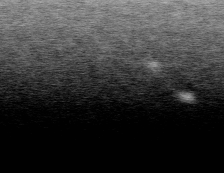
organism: Human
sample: HeLa cells